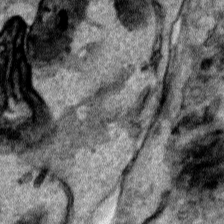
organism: Human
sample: Mitochondria in HCT116 cells